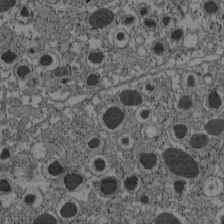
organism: C57BL Mouse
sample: Pancreatic islet